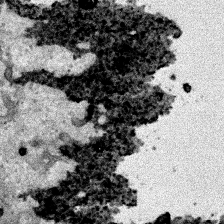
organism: Human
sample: Mitochondria in HCT116 cells